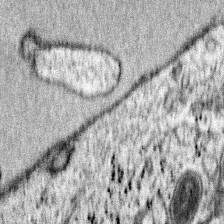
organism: Human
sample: HeLa cells